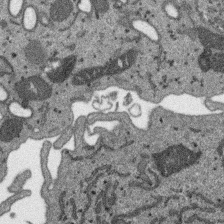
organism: Human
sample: Lung epithelial cells infected with SARS-CoV-2